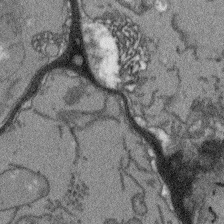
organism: Arabidopsis thaliana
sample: Root tip